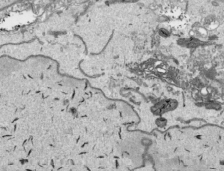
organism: Human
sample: Mitochondria in HCT116 cells